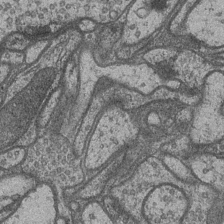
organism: Drosophila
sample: Optic medulla